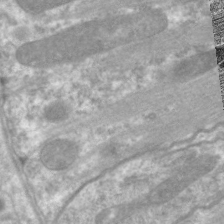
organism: C. elegans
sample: Pharynx